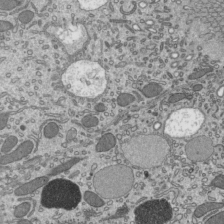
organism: Mouse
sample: Mouse epididymis efferent ductule cilia